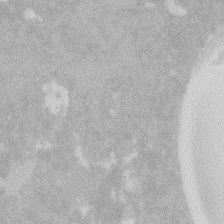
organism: Zebrafish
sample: Macrophage